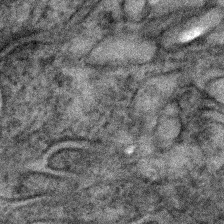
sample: Kidney